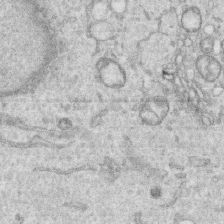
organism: Human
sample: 1205lu cells